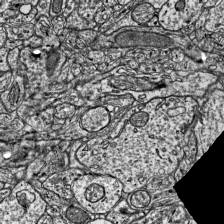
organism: Mouse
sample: Visual Cortex